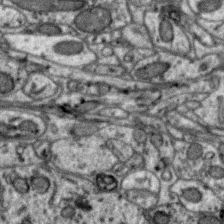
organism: Zebra finch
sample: Brain